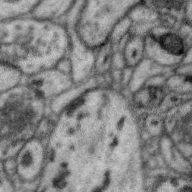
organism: Zebra finch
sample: Brain